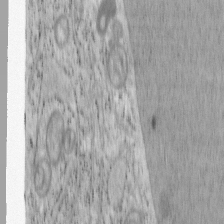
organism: Human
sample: HeLa cells